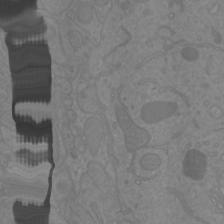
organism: Mouse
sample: Cortical neurons